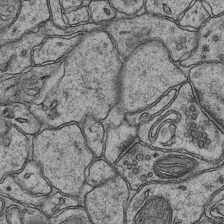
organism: Mouse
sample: CA1 Hippocampus